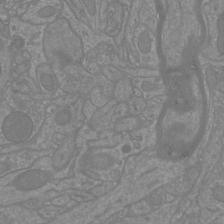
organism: Mouse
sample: Cortical neurons